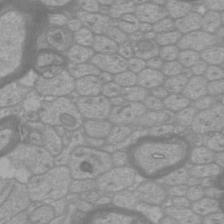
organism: Mouse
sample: Cortical neurons